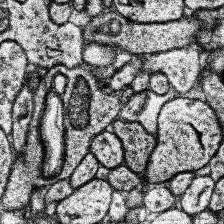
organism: Human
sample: Temporal Lobe